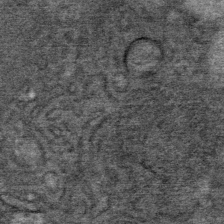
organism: Mouse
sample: Mouse Salivary gland